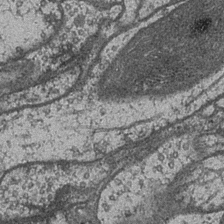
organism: Drosophila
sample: Optic medulla